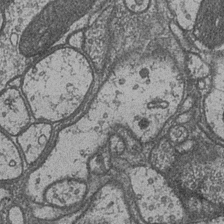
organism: Drosophila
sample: Optic medulla